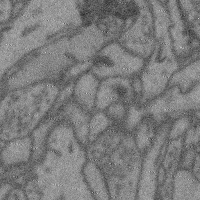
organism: Mouse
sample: Cerebral cortex